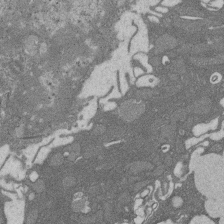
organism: Rat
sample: Salivary granule